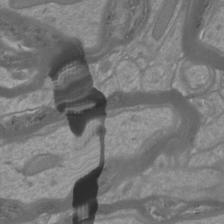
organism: Mouse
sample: Cortical neurons